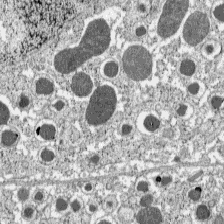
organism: C57BL Mouse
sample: Pancreatic islet